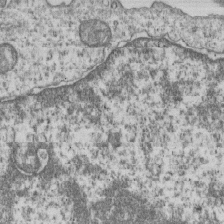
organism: Human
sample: MDA-MB-231 cells